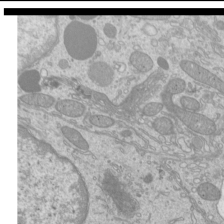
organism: Mouse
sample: Cilia; mouse epididymis